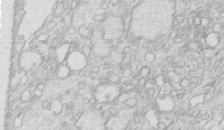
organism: Mouse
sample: Multiciliated cells